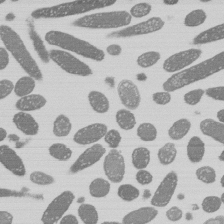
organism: E. coli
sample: Bacterial nucleoid